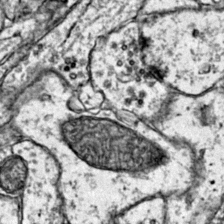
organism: Mouse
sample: Primary visual cortex